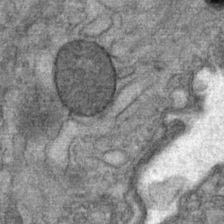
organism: Mouse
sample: Mouse Salivary gland